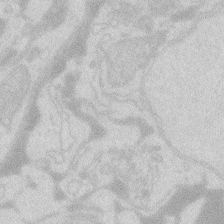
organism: Zebrafish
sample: Macrophage